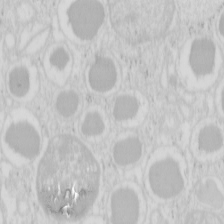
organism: Mouse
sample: Pancreas